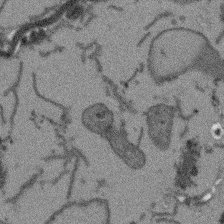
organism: Arabidopsis thaliana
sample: Root tip